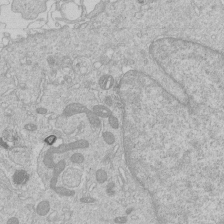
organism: Human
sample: Macrophage cells